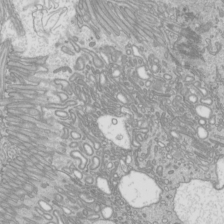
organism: Mouse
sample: Cilia; mouse epididymis